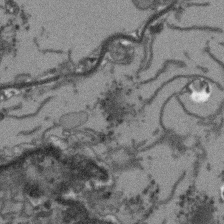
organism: Arabidopsis thaliana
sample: Root tip